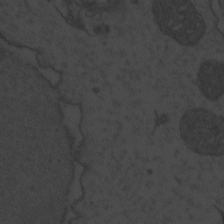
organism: Zebrafish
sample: Macrophage infected with Toxoplasma gondii